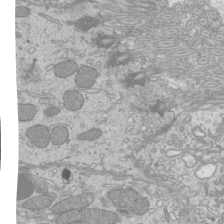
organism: Mouse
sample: Cilia; mouse epididymis